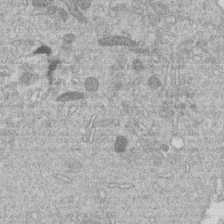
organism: Human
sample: Macrophage cells